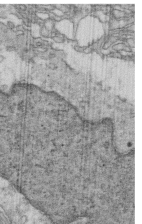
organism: Mouse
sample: Multiciliated cells